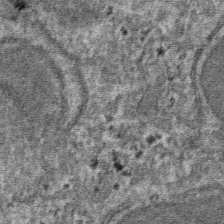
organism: Mouse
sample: Mouse hepatocytes